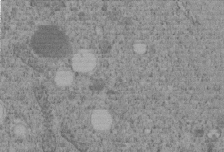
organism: C. elegans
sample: C. elegans embryo early stage